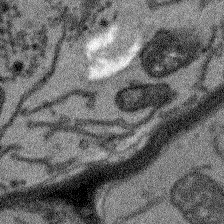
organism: Arabidopsis thaliana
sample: Root tip